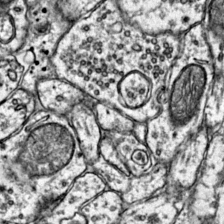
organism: Mouse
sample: Primary visual cortex